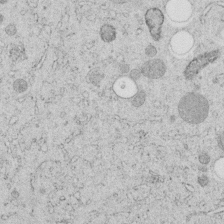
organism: C. elegans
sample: C. elegans embryo early stage